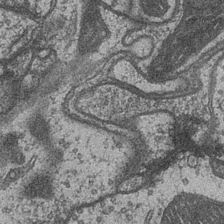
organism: Drosophila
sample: Optic medulla